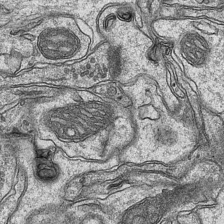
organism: Mouse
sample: CA1 Hippocampus